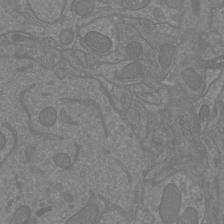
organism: Mouse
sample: Cortical neurons